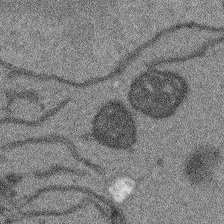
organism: Arabidopsis thaliana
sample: Root tip